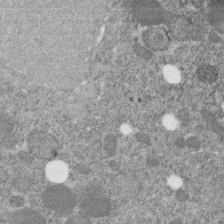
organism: C. elegans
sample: C. elegans embryo early stage